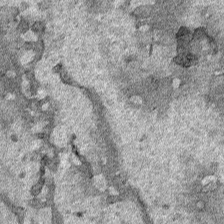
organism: Human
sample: Mitochondria in HCT116 cells